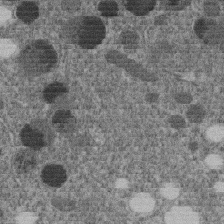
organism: C. elegans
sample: C. elegans embryo early stage